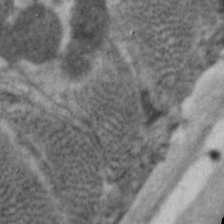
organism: C. elegans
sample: Pharynx